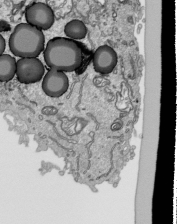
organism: Human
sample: Mitochondria in HCT116 cells